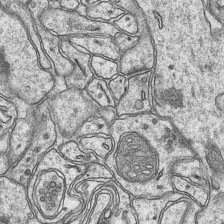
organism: Mouse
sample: CA1 Hippocampus